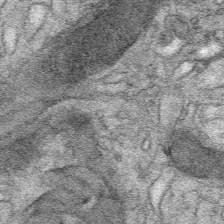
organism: Mouse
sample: Mouse Salivary gland